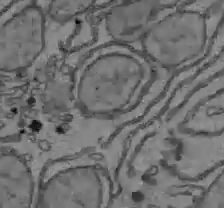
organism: C57BL Mouse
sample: Liver